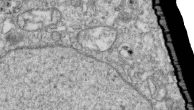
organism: Human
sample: HeLa cell HIV synapse